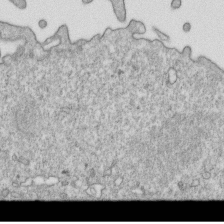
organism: Mouse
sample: Activated OT-1 CD8+ T cells